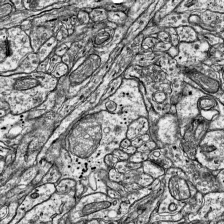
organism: Mouse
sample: Visual Cortex